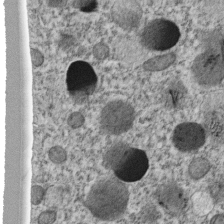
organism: C. elegans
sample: C. elegans embryo early stage